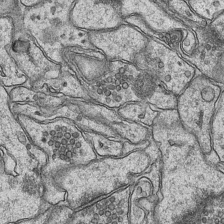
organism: Mouse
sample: CA1 Hippocampus